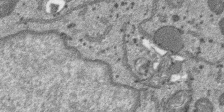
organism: Human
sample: Lung epithelial cells infected with SARS-CoV-2